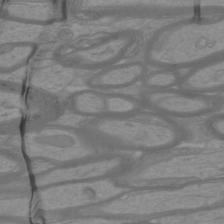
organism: Mouse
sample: Cortical neurons